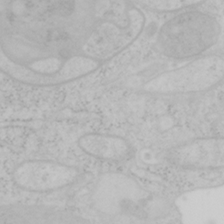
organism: Mouse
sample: OT-I killer T cells with ID8 ovarian cancer cells